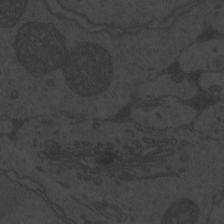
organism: Zebrafish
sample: Macrophage infected with Toxoplasma gondii